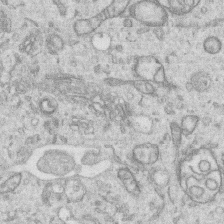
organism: Human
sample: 1205lu cells